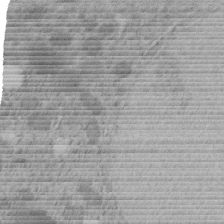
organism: C. elegans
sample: C. elegans embryo early stage